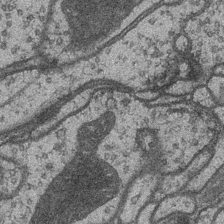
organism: Drosophila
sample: Optic medulla